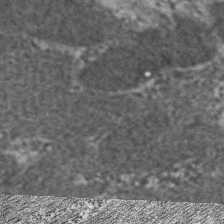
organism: C. elegans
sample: Pharynx